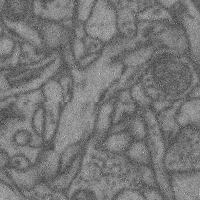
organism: Mouse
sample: Cerebral cortex